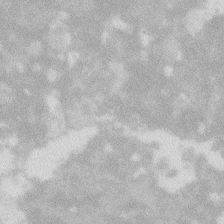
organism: Zebrafish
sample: Macrophage